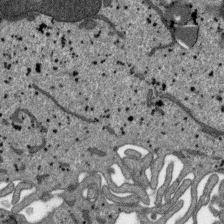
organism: Human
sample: Lung epithelial cells, uninfected (mock) control